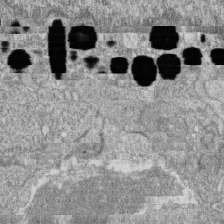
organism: Zebrafish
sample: Cilia; retinal pigment epithelium